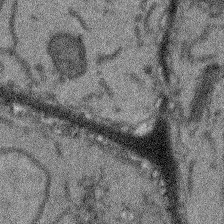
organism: Arabidopsis thaliana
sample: Root tip